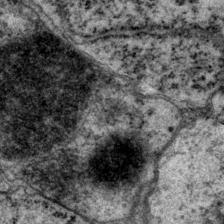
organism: P. pacificus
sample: Pharynx